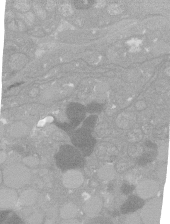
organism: C. elegans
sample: C. elegans oocyte; sperm cells